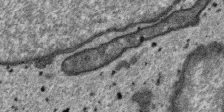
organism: Human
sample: Lung epithelial cells, uninfected (mock) control